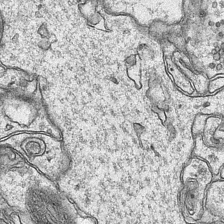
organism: Mouse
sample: CA1 Hippocampus